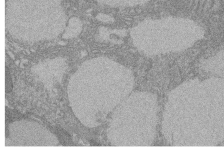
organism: Rat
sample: Salivary granule